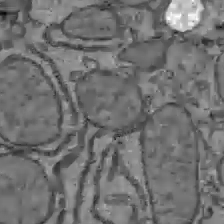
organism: C57BL Mouse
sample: Liver